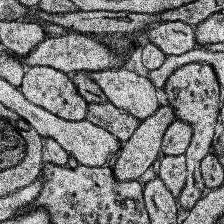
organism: Human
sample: Temporal Lobe